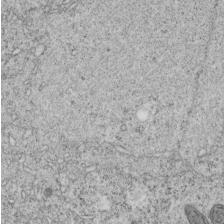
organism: C. elegans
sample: C. elegans embryo early stage